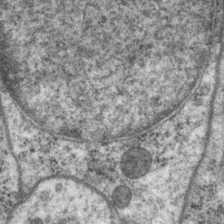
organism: P. pacificus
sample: Pharynx